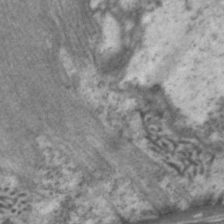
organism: C. elegans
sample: Pharynx